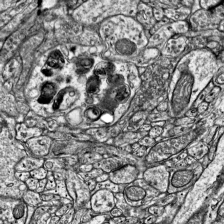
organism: Mouse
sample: Visual Cortex